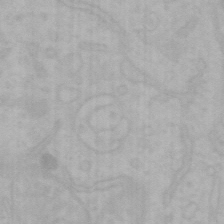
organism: Mouse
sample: Choroid plexus